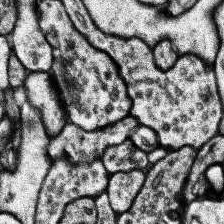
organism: Human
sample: Temporal Lobe